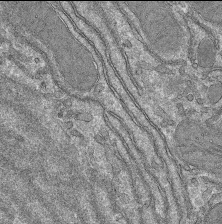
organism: Mouse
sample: Mouse hepatocytes